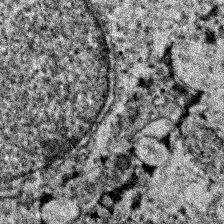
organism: Zebrafish